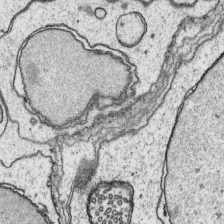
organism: Platynereis dumerilii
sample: Parapodia